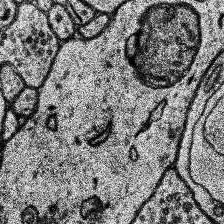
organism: Human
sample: Temporal Lobe